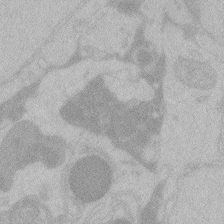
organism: Zebrafish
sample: Macrophage infected with Toxoplasma gondii